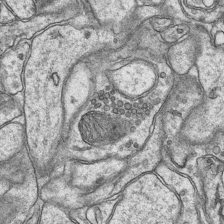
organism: Mouse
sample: CA1 Hippocampus